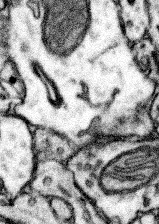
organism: Mouse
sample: Somatosensory cortex neuropil